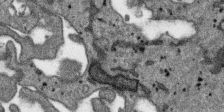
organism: Human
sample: Lung epithelial cells, uninfected (mock) control